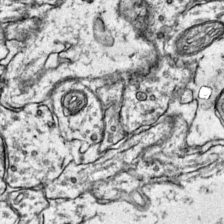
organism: Mouse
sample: Primary visual cortex